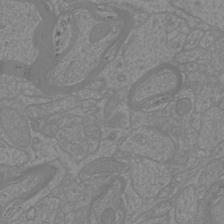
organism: Mouse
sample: Cortical neurons